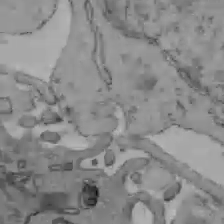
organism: C57BL Mouse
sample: Liver